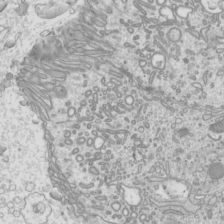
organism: Mouse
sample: Cilia; mouse epididymis